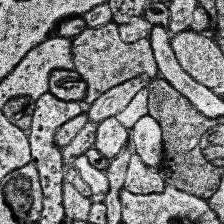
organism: Human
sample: Temporal Lobe